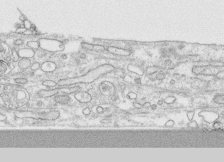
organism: Human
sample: CRL-1474